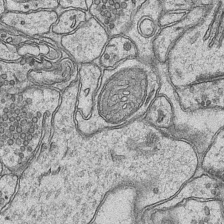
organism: Mouse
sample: CA1 Hippocampus